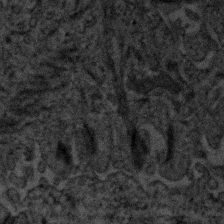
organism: Human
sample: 1205lu cells